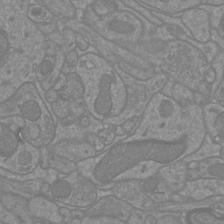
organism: Mouse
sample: Cortical neurons